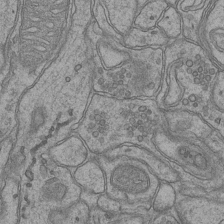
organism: Mouse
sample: CA1 Hippocampus